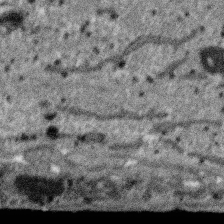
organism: Human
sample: Lung epithelial cells infected with SARS-CoV-2